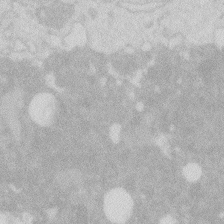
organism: Zebrafish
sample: Macrophage